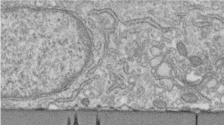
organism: Human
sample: Centriole in fibroblast cells